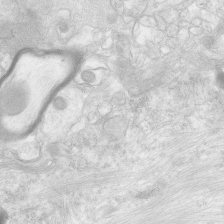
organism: Human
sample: Neocortex